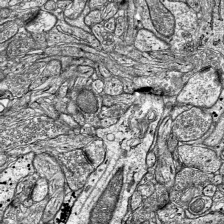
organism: Mouse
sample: Visual Cortex